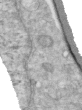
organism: Human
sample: Centriole in RPE cells